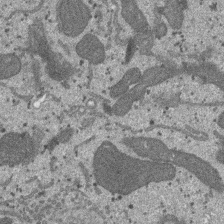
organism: Human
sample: Lung epithelial cells infected with SARS-CoV-2